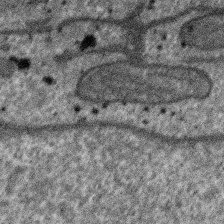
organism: Human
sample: Lung epithelial cells infected with SARS-CoV-2